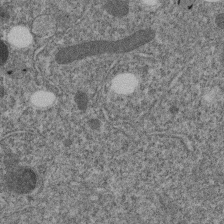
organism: C. elegans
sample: C. elegans embryo early stage